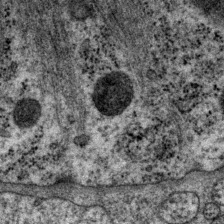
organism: P. pacificus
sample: Pharynx